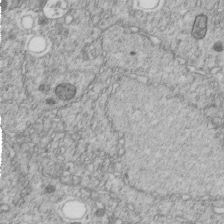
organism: C. elegans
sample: C. elegans embryo early stage